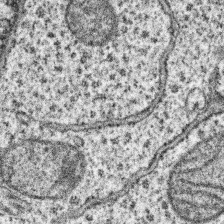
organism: Human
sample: HeLa cells